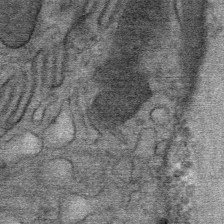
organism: Mouse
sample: Mouse Salivary gland